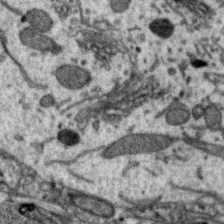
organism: Zebra finch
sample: Brain